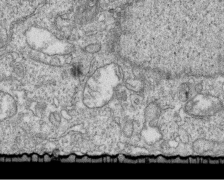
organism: Human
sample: HeLa cell HIV synapse